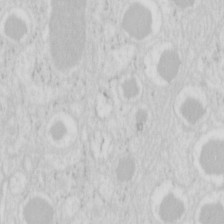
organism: Mouse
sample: Pancreas